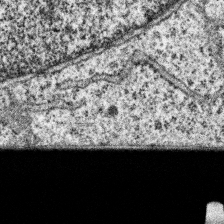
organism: Human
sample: HeLa cells